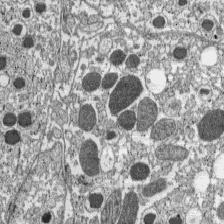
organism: C57BL Mouse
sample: Pancreatic islet